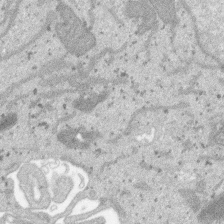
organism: Human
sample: Lung epithelial cells infected with SARS-CoV-2